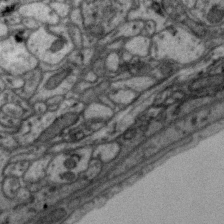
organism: Zebra finch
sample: Brain